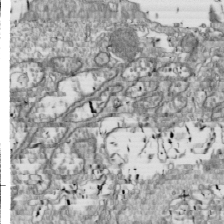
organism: Drosophila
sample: Cell division; meiosis; drosophila spermatocytes